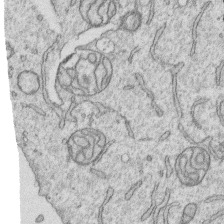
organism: Human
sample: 1205lu cells